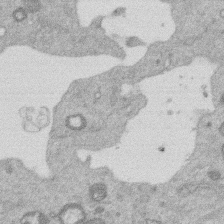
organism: Mouse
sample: Dividing mouse embryo 1 cell stage